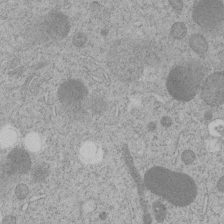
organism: C. elegans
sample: C. elegans embryo early stage